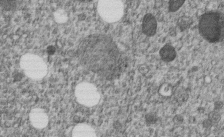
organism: C. elegans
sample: C. elegans embryo early stage